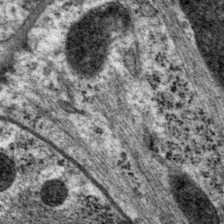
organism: P. pacificus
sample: Pharynx